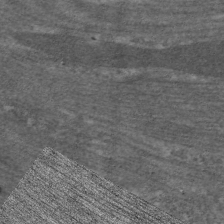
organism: C. elegans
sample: Pharynx